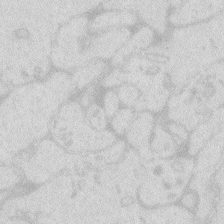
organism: Zebrafish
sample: Macrophage